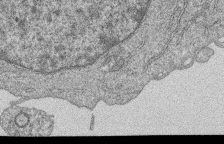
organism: Human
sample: MDA-MB-231 cells